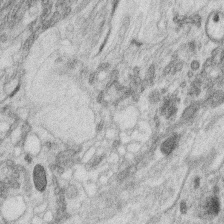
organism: C. elegans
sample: C. elegans oocyte; sperm cells